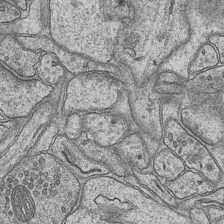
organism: Mouse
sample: CA1 Hippocampus